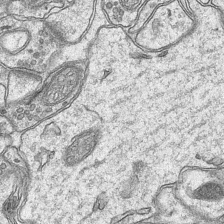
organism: Mouse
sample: CA1 Hippocampus